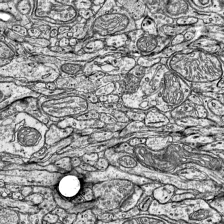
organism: Mouse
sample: Visual Cortex